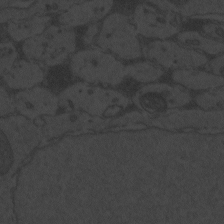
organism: Zebrafish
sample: Macrophage infected with Toxoplasma gondii